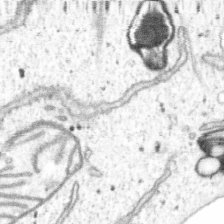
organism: Human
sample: HeLa cells